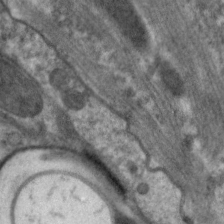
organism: C. elegans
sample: Pharynx